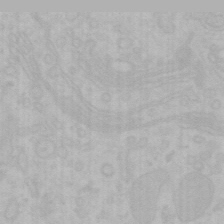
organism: Mouse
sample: Choroid plexus